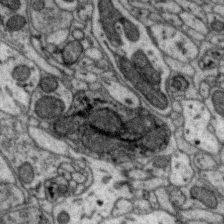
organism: Zebra finch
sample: Brain